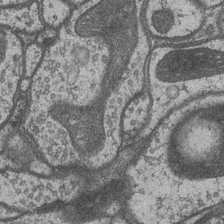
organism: Drosophila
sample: Optic medulla